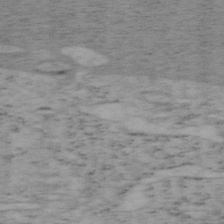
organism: Mouse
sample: OT-I killer T cells with ID8 ovarian cancer cells